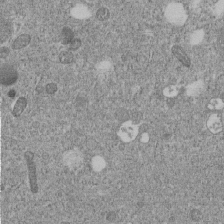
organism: C. elegans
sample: C. elegans embryo early stage